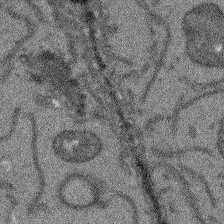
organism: Arabidopsis thaliana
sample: Root tip